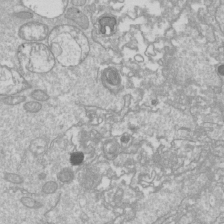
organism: Drosophila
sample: Cell division; meiosis; drosophila spermatocytes